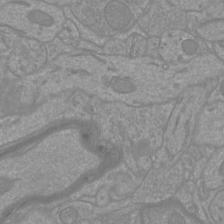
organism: Mouse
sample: Cortical neurons